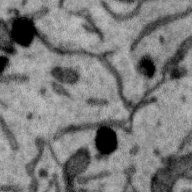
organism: Zebra finch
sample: Brain